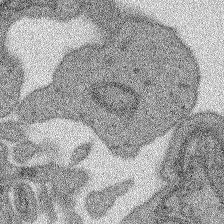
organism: Human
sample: HeLa cells